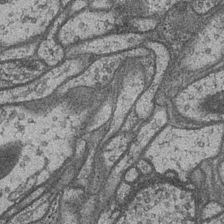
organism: Drosophila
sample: Optic medulla